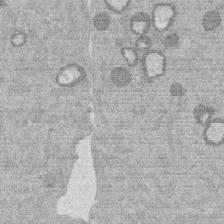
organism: Mouse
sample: Dividing mouse embryo 1 cell stage